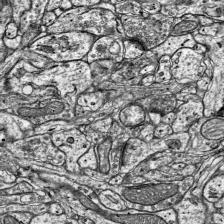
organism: Mouse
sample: Visual Cortex